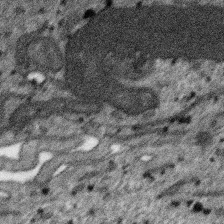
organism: Human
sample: Lung epithelial cells infected with SARS-CoV-2